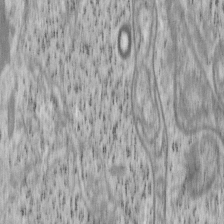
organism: Human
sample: HeLa cells